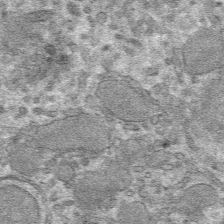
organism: Mouse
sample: Mouse hepatocytes